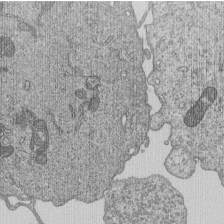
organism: Human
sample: MDA-MB-231 cells